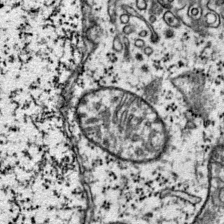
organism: Mouse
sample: Primary visual cortex